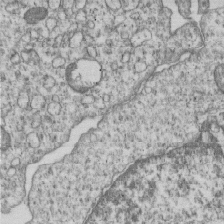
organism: Human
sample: MDA-MB-231 cells